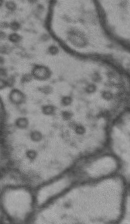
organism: Drosophila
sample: Brain